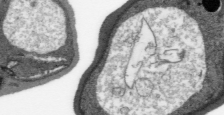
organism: Plasmodium falciparum